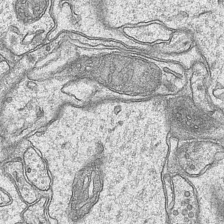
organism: Mouse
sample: CA1 Hippocampus